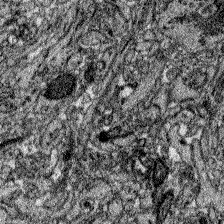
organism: Zebrafish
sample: Larval olfactory bulb